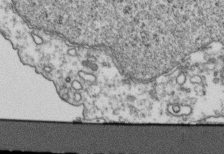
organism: Human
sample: Activated Jurkat CD4+ T cells